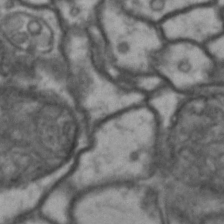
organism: Drosophila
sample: Brain